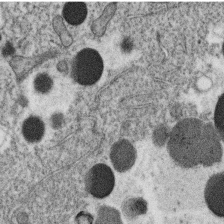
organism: C. elegans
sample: C. elegans oocyte; sperm cells